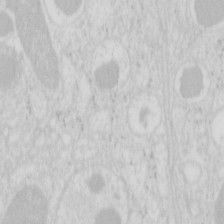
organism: Mouse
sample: Pancreas